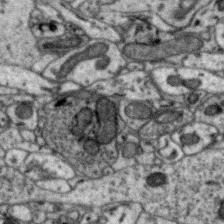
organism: Zebra finch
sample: Brain